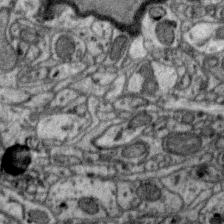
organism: Zebra finch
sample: Brain